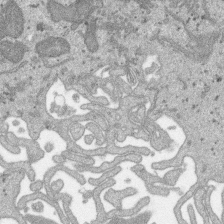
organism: Human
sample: Lung epithelial cells infected with SARS-CoV-2